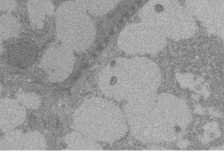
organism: Rat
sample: Salivary granule